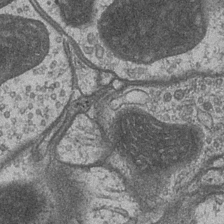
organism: Drosophila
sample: Optic medulla